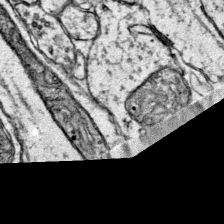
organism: Mouse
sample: Primary visual cortex